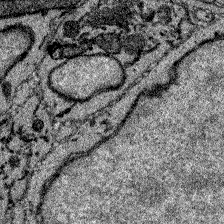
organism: Zebrafish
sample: Larval olfactory bulb